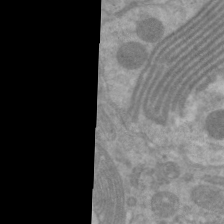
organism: C. elegans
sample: Pharynx